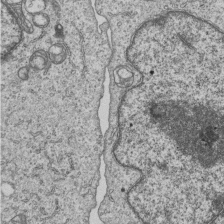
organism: Human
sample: MDA-MB-231 cells